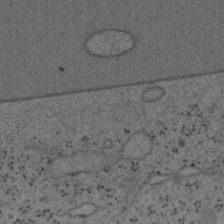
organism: Human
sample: HeLa cells